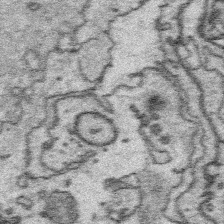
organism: Platynereis dumerilii